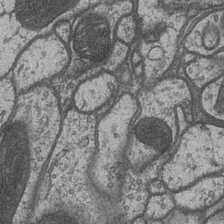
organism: Drosophila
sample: Optic medulla